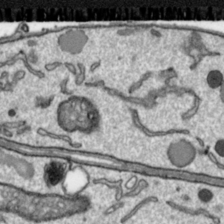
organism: Toxoplasma gondii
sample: Parasites in a vacuole inside a host cell